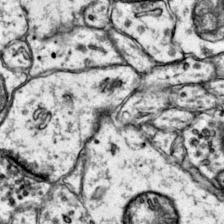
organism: Mouse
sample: Primary visual cortex